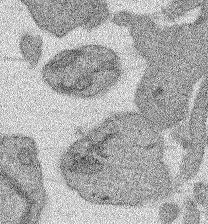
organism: Human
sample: HeLa cells